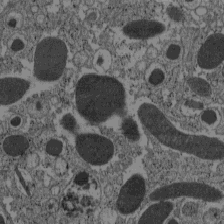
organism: C57BL Mouse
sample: Pancreatic islet